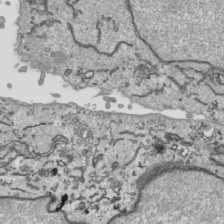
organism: Human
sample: Mitochondria in HCT116 cells